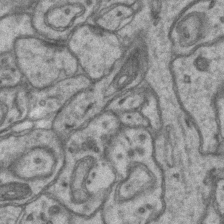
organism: Mouse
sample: CA1 Hippocampus